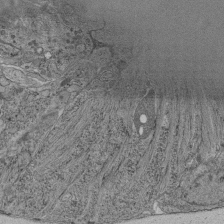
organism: C. elegans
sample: C. elegans pharynx